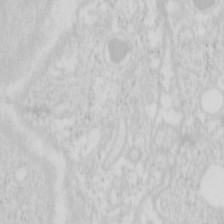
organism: Mouse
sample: Pancreas